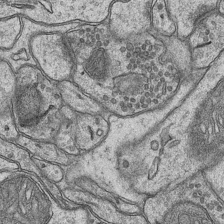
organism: Mouse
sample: CA1 Hippocampus